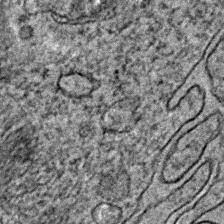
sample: Trachea